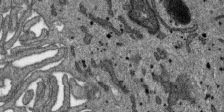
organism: Human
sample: Lung epithelial cells, uninfected (mock) control